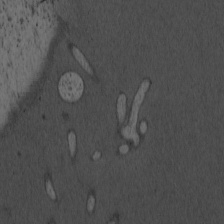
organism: African green monkey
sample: COS-7 cells